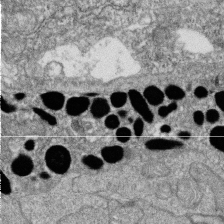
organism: Zebrafish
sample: Cilia; retinal pigment epithelium